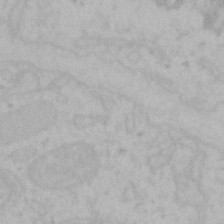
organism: Mouse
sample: Choroid plexus